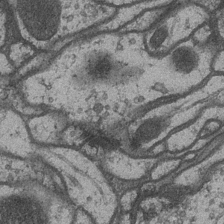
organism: Drosophila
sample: Optic medulla